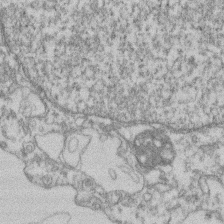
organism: Mouse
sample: T cell stromal cell synapse